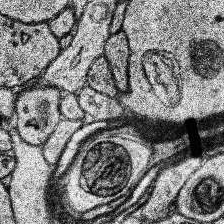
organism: Human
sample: Temporal Lobe